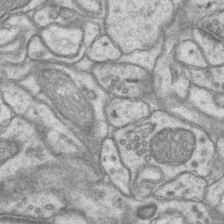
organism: Mouse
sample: CA1 Hippocampus